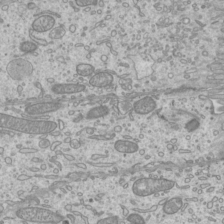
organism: Mouse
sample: Cilia; mouse epididymis